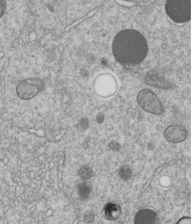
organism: C. elegans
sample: C. elegans embryo early stage